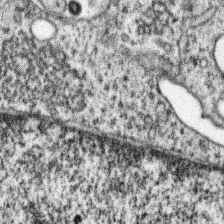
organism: Human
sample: HeLa cells